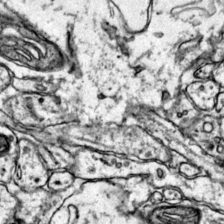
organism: Mouse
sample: Primary visual cortex